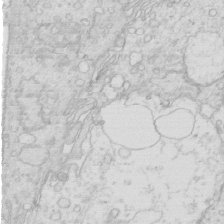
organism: Mouse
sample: Multiciliated cells